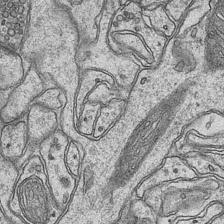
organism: Mouse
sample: CA1 Hippocampus